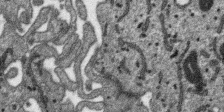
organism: Human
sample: Lung epithelial cells infected with SARS-CoV-2